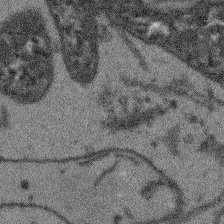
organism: Arabidopsis thaliana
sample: Root tip